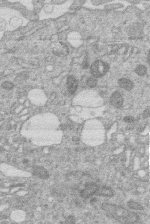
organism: Human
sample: Macrophage cells